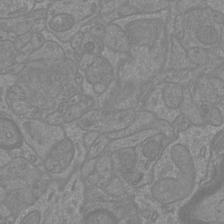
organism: Mouse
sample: Cortical neurons